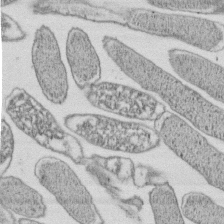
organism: E. coli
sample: Bacterial nucleoid